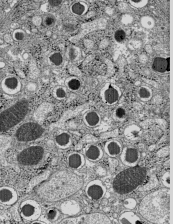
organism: C57BL Mouse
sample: Pancreatic islet